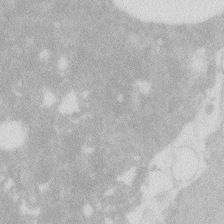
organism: Zebrafish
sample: Macrophage